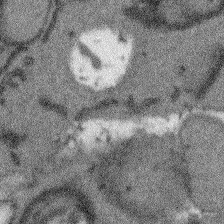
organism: Arabidopsis thaliana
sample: Root tip